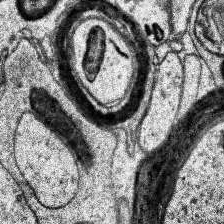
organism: Human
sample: Temporal Lobe